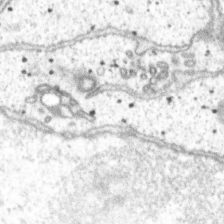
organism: Human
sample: HeLa cells